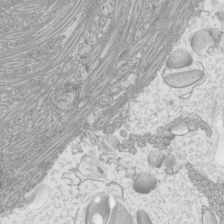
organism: Mouse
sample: Cilia; mouse epididymis